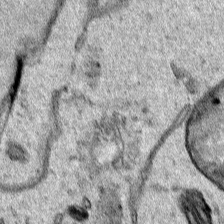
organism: Human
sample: Mitochondria in HCT116 cells